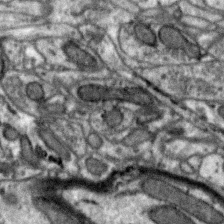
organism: Zebra finch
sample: Brain